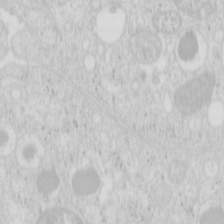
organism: Mouse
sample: Pancreas